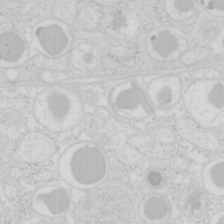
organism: Mouse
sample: Pancreas